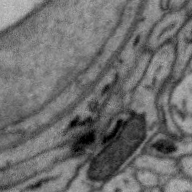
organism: Zebra finch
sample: Brain